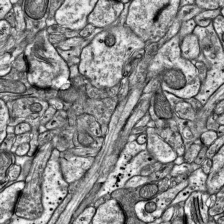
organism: Mouse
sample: Visual Cortex